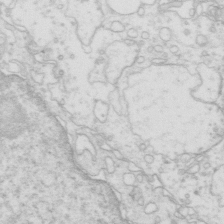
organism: Mouse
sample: Multiciliated cells